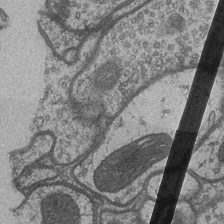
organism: Drosophila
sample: Optic medulla